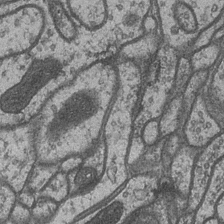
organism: Drosophila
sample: Optic medulla